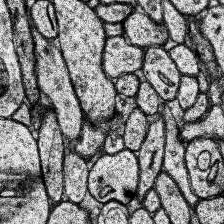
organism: Human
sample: Temporal Lobe